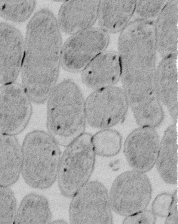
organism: E. coli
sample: Bacterial nucleoid